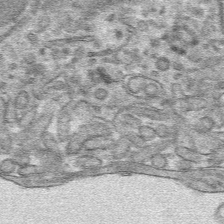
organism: Mouse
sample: Mouse hepatocytes